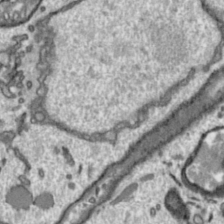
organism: Toxoplasma gondii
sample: Parasites in a vacuole inside a host cell